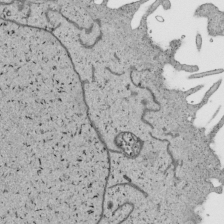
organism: Human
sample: Mitochondria in HCT116 cells